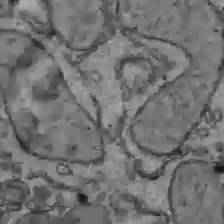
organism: C57BL Mouse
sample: Liver